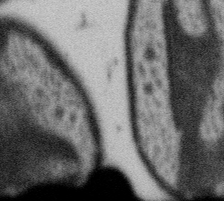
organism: Gemmata obscuriglobus